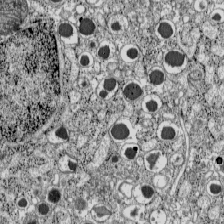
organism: C57BL Mouse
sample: Pancreatic islet